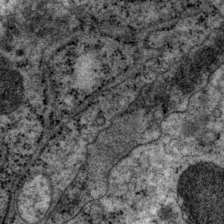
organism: P. pacificus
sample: Pharynx